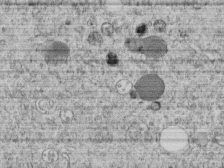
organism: C. elegans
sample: C. elegans embryo early stage